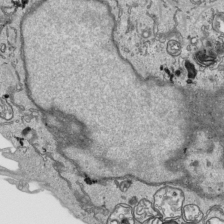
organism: Human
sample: Mitochondria in HCT116 cells